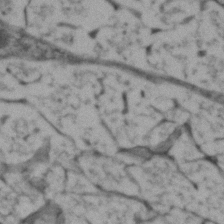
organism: Zebrafish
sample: Zebrafish embryo